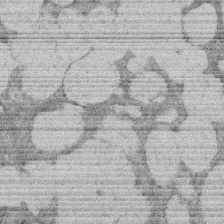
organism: Rat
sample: Salivary granule